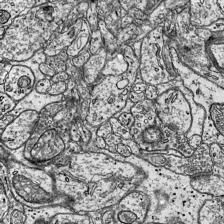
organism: Mouse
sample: Visual Cortex